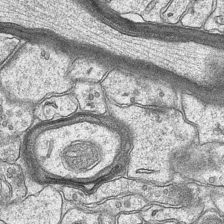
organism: Mouse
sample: CA1 Hippocampus